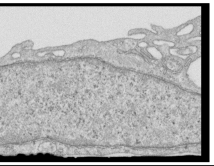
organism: Human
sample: Centriole in RPE cells